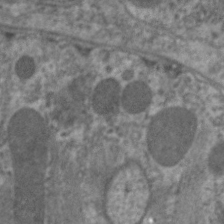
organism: C. elegans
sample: Pharynx